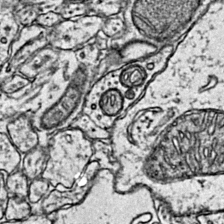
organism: Mouse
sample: Primary visual cortex